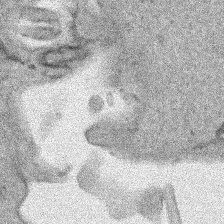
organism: Human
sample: Mitochondria in HCT116 cells